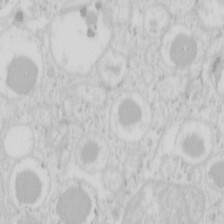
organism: Mouse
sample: Pancreas